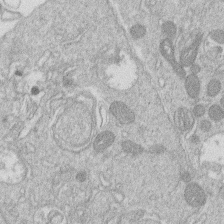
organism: Human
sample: Macrophage cells